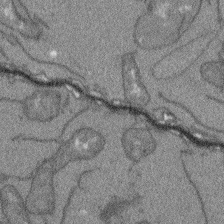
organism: Arabidopsis thaliana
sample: Root tip